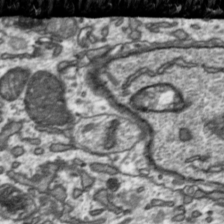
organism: Toxoplasma gondii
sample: Parasites in a vacuole inside a host cell